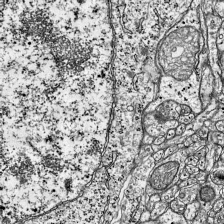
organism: Mouse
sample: Visual Cortex